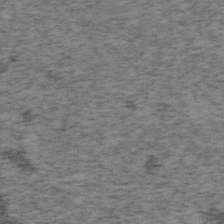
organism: Mouse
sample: OT-I killer T cells with ID8 ovarian cancer cells